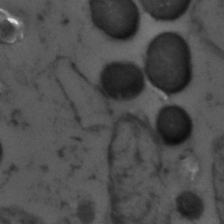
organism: Zebrafish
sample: Zebrafish embryo